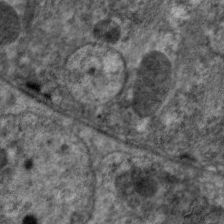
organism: C. elegans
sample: Pharynx